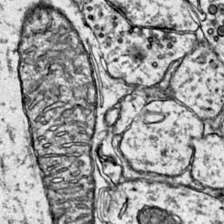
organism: Mouse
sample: Primary visual cortex